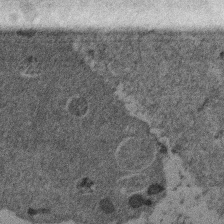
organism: Mouse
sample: Dividing mouse embryo 1 cell stage